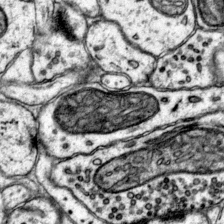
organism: Mouse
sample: Primary visual cortex